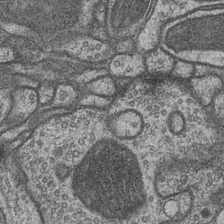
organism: Drosophila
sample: Optic medulla